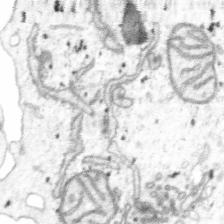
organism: Human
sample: HeLa cells